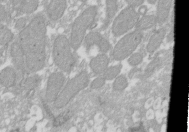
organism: Xenopus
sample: Cilia; centrioles in frog embryo cells